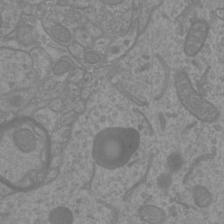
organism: Mouse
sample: Cortical neurons